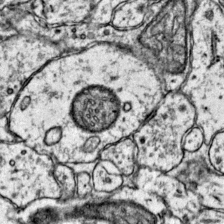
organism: Mouse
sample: Primary visual cortex